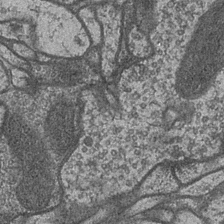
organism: Drosophila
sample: Optic medulla